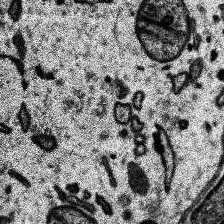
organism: Human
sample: Temporal Lobe